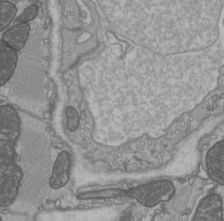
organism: C57BL Mouse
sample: Heart